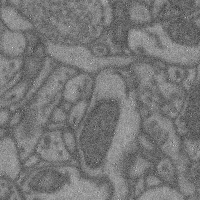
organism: Mouse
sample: Cerebral cortex